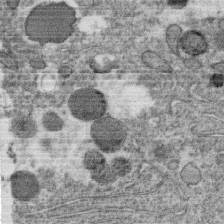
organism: C. elegans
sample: C. elegans oocyte; sperm cells